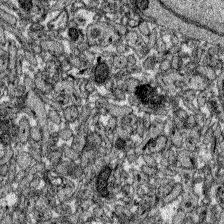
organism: Zebrafish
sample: Larval olfactory bulb